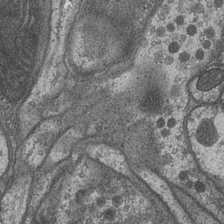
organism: Drosophila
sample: Optic medulla